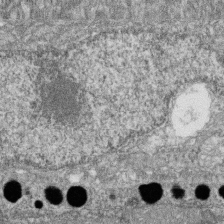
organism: Zebrafish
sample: Cilia; retinal pigment epithelium